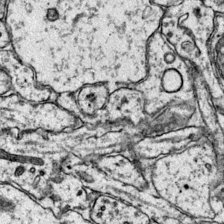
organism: Mouse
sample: Primary visual cortex